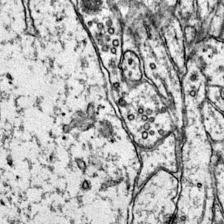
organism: Mouse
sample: Primary visual cortex